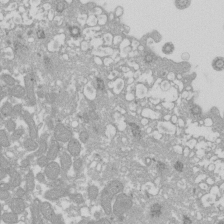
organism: Xenopus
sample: Cilia; centrioles in frog embryo cells